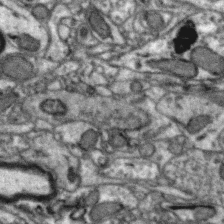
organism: Zebra finch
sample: Brain